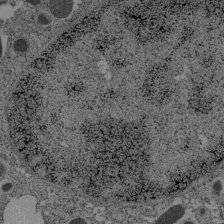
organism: C57BL Mouse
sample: Pancreatic islet